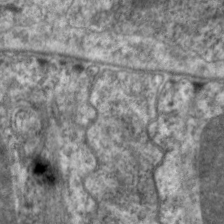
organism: C. elegans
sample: Pharynx